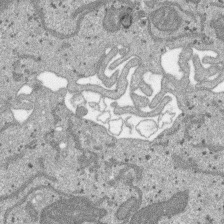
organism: Human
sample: Lung epithelial cells infected with SARS-CoV-2